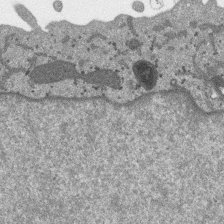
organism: Human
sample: Lung epithelial cells infected with SARS-CoV-2